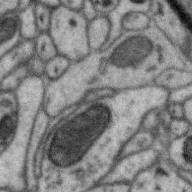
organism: Zebra finch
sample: Brain